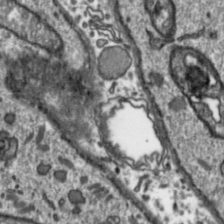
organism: Toxoplasma gondii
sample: Parasites in a vacuole inside a host cell